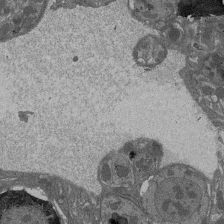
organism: Drosophila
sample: Antenna